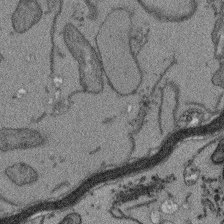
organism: Arabidopsis thaliana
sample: Root tip